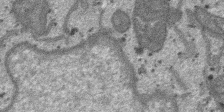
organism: Human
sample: Lung epithelial cells infected with SARS-CoV-2